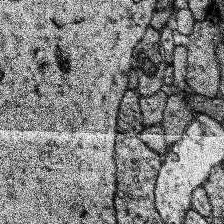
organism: Human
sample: Temporal Lobe